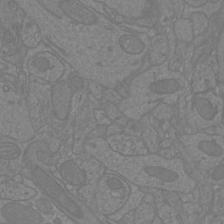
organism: Mouse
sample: Cortical neurons